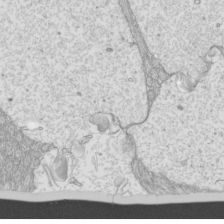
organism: Mouse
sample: Cilia; mouse epididymis